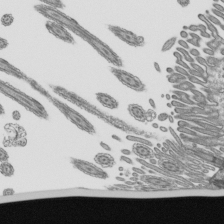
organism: Mouse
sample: Mouse epididymis efferent ductule cilia